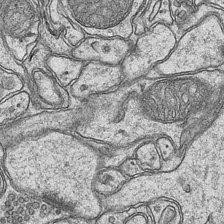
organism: Mouse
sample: CA1 Hippocampus